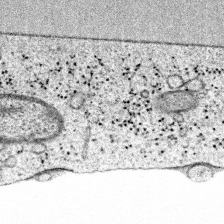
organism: Human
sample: HeLa cells